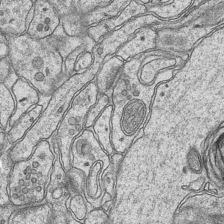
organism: Mouse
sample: CA1 Hippocampus